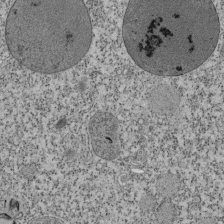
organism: Tetrahymena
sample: Cilia in tetrahymena